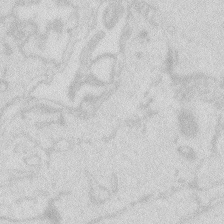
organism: Zebrafish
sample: Macrophage